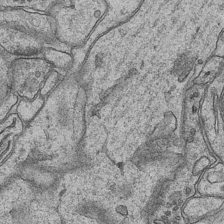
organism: Mouse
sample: CA1 Hippocampus